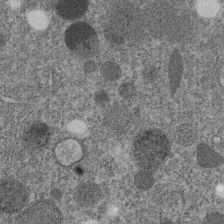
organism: C. elegans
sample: C. elegans embryo early stage